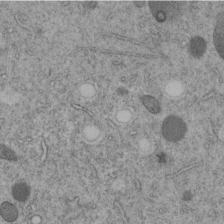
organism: C. elegans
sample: C. elegans embryo early stage